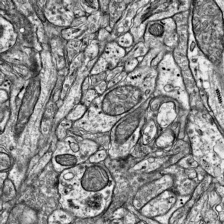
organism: Mouse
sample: Visual Cortex